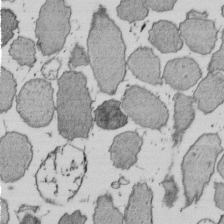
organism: E. coli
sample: Bacterial nucleoid